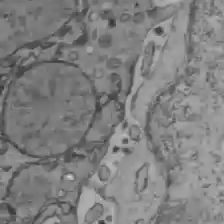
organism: C57BL Mouse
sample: Liver